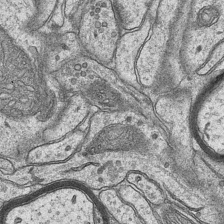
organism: Mouse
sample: CA1 Hippocampus